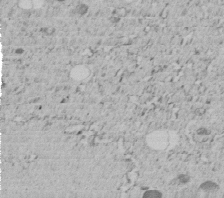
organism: C. elegans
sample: C. elegans embryo early stage